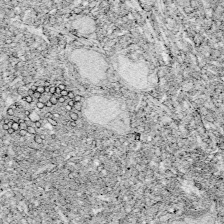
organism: Zebrafish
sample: Whole-Brain